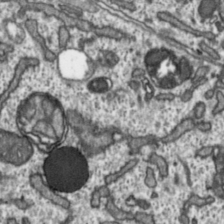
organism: Toxoplasma gondii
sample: Parasites in a vacuole inside a host cell